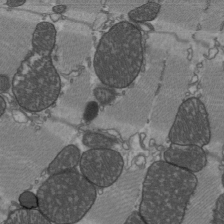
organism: C57BL Mouse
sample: Heart